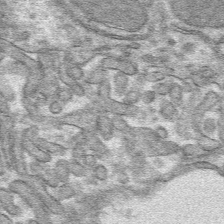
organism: Mouse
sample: Mouse hepatocytes